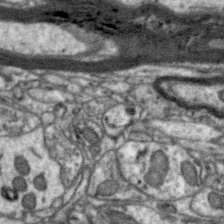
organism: Zebra finch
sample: Brain